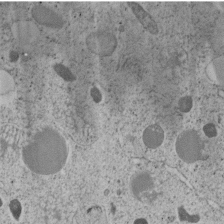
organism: C. elegans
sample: C. elegans embryo early stage